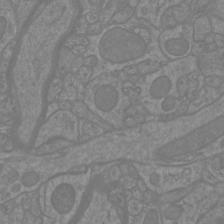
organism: Mouse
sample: Cortical neurons